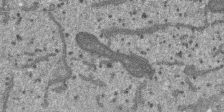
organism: Human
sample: Lung epithelial cells infected with SARS-CoV-2